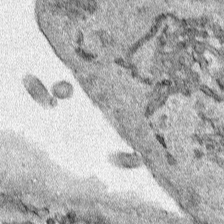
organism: Human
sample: Mitochondria in HCT116 cells